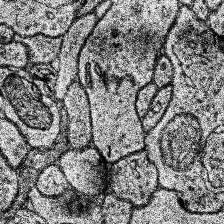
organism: Human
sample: Temporal Lobe